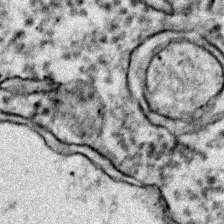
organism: Zebrafish